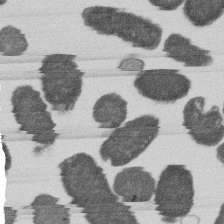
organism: E. coli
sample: Bacterial nucleoid